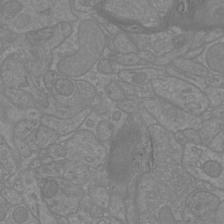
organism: Mouse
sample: Cortical neurons